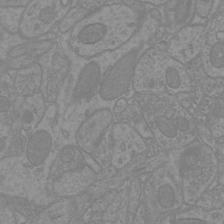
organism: Mouse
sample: Cortical neurons